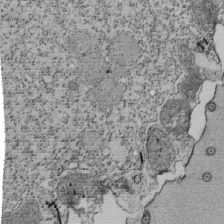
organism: Tetrahymena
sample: Cilia in tetrahymena